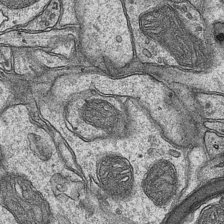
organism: Mouse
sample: CA1 Hippocampus